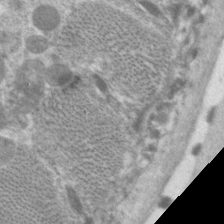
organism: C. elegans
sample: Pharynx